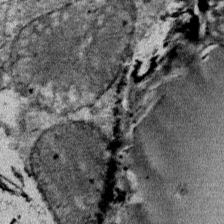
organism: Mouse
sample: Mouse Salivary gland